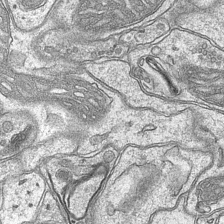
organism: Mouse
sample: CA1 Hippocampus